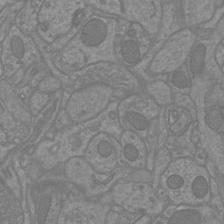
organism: Mouse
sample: Cortical neurons